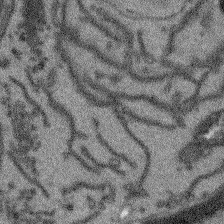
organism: Arabidopsis thaliana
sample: Root tip